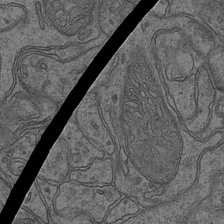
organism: Mouse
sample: CA1 Hippocampus